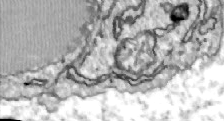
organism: Zebrafish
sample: Actinotrichia fibers